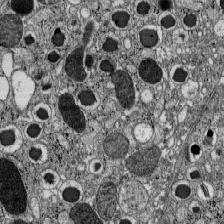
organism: C57BL Mouse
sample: Pancreatic islet